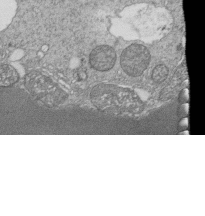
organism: Tetrahymena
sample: Cilia in tetrahymena